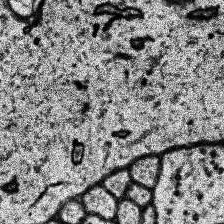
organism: Human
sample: Temporal Lobe